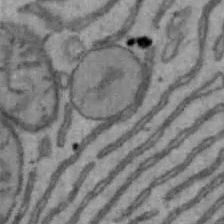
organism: Mouse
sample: Liver